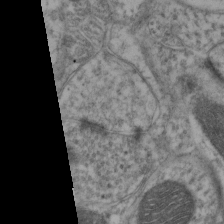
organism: Mouse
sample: Neocortex